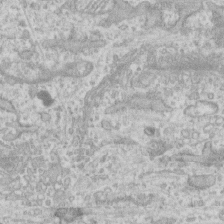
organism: Human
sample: CRL-1474